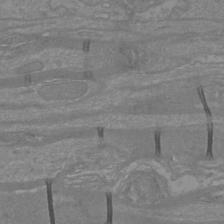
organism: Mouse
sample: Cortical neurons